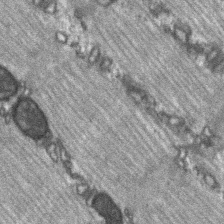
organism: C57BL Mouse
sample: Soleus